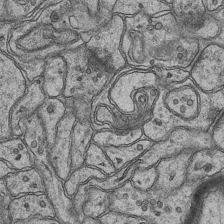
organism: Mouse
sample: CA1 Hippocampus